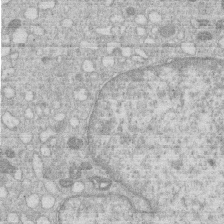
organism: Human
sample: Macrophage cells